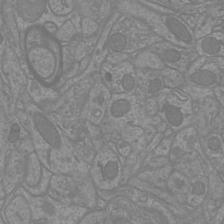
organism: Mouse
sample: Cortical neurons